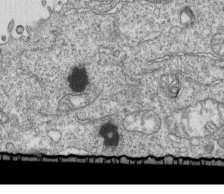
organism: Human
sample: HeLa cell HIV synapse